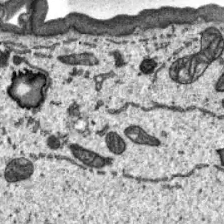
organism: Human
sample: HeLa cells